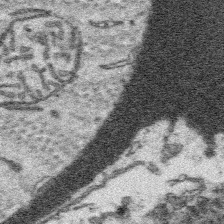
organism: Platynereis dumerilii